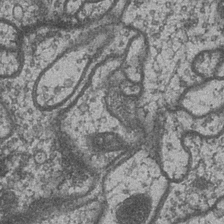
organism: Drosophila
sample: Optic medulla